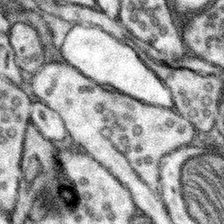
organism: Mouse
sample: Somatosensory cortex neuropil